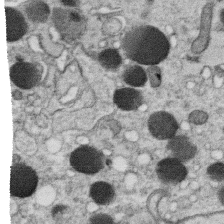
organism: C. elegans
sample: C. elegans oocyte; sperm cells